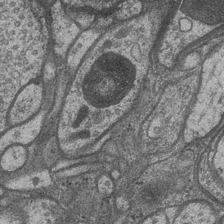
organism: Drosophila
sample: Optic medulla